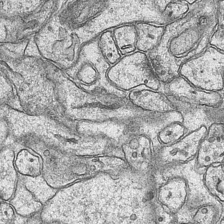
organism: Mouse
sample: CA1 Hippocampus